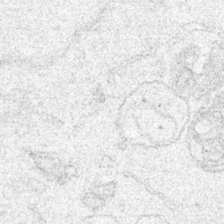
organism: Human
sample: Mitochondria in HCT116 cells